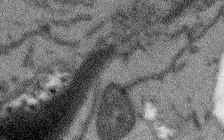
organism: Arabidopsis thaliana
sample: Root tip